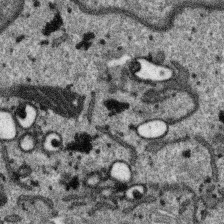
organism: Human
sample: Lung epithelial cells infected with SARS-CoV-2